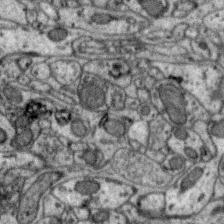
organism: Zebra finch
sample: Brain